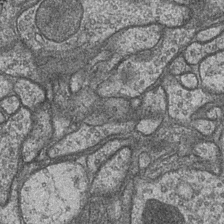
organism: Drosophila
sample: Optic medulla